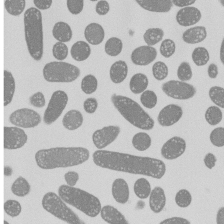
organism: E. coli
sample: Bacterial nucleoid